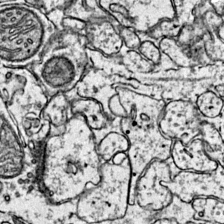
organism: Mouse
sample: Primary visual cortex